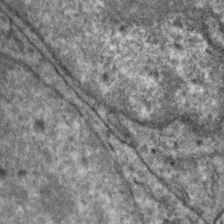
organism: Zebra finch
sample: Brain